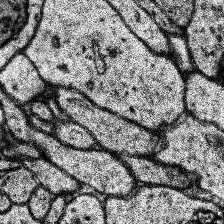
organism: Human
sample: Temporal Lobe